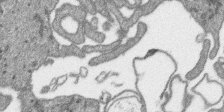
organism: Human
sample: Lung epithelial cells infected with SARS-CoV-2